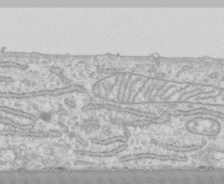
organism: Human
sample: CRL-1474